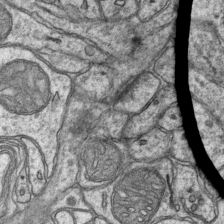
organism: Mouse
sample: CA1 Hippocampus